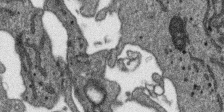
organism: Human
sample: Lung epithelial cells infected with SARS-CoV-2